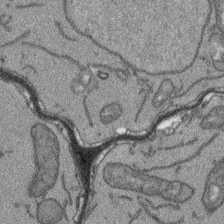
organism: Arabidopsis thaliana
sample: Root tip